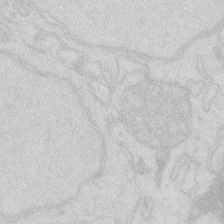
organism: Zebrafish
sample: Macrophage